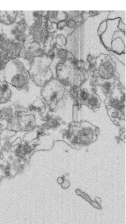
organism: Human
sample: HeLa cell HIV synapse